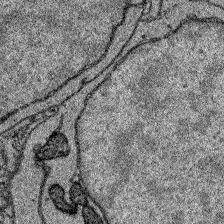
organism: Zebrafish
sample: Larval olfactory bulb